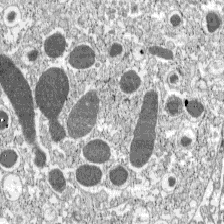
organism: C57BL Mouse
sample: Pancreatic islet